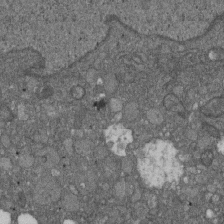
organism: Drosophila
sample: Nephrocyte